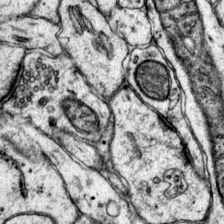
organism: Mouse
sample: Primary visual cortex